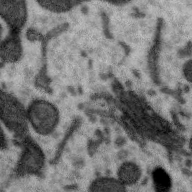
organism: Zebra finch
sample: Brain